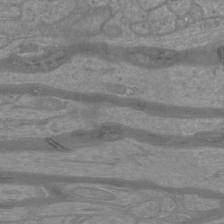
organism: Mouse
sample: Cortical neurons